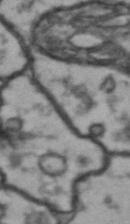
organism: Drosophila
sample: Brain